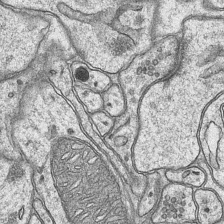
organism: Mouse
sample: CA1 Hippocampus